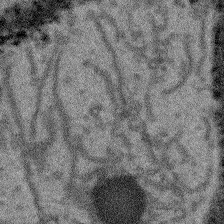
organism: Arabidopsis thaliana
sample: Root tip